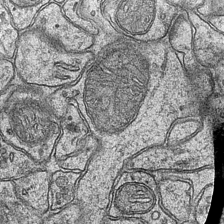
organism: Mouse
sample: CA1 Hippocampus